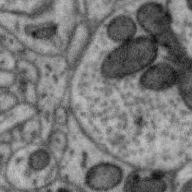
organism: Zebra finch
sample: Brain